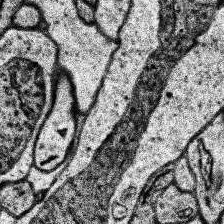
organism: Human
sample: Temporal Lobe